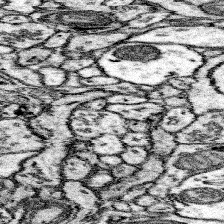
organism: Mouse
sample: Somatosensory cortex neuropil